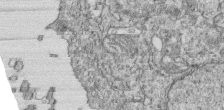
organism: Human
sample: HeLa cell HIV synapse